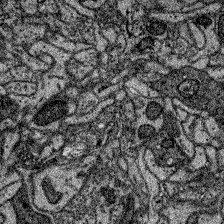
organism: Zebrafish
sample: Larval olfactory bulb